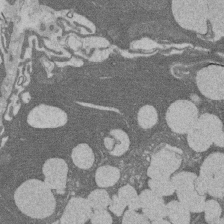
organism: Rat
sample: Salivary granule